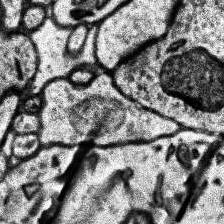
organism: Human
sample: Temporal Lobe